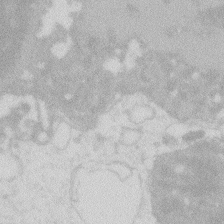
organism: Zebrafish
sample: Macrophage